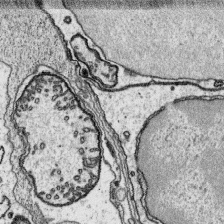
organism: Platynereis dumerilii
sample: Parapodia